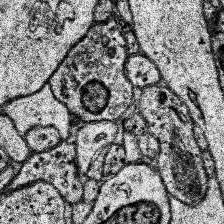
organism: Human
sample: Temporal Lobe